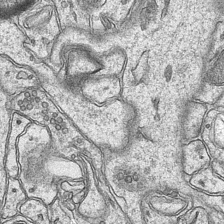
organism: Mouse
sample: CA1 Hippocampus